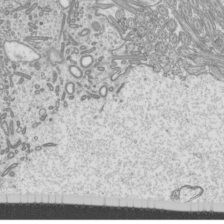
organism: Mouse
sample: Cilia; mouse epididymis